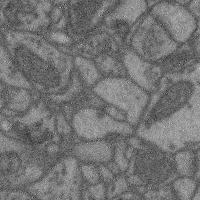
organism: Mouse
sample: Cerebral cortex